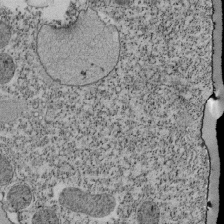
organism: Tetrahymena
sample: Cilia in tetrahymena